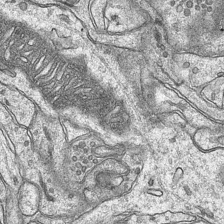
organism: Mouse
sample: CA1 Hippocampus